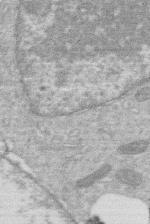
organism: Human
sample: Macrophage cells